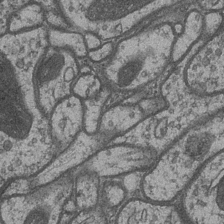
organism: Drosophila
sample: Optic medulla